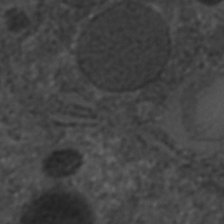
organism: C. elegans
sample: C. elegans embryo